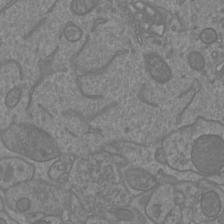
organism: Mouse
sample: Cortical neurons